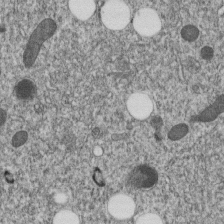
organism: C. elegans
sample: C. elegans embryo early stage